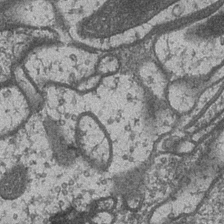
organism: Drosophila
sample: Optic medulla